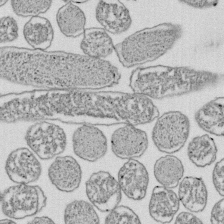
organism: E. coli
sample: Bacterial nucleoid